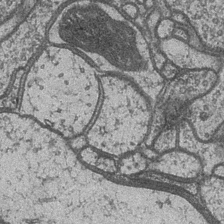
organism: Drosophila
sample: Optic medulla